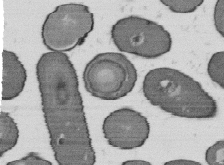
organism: B. subtilis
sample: Bacterial spore